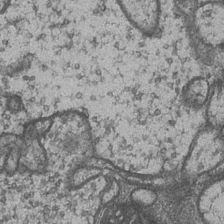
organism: Drosophila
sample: Optic medulla